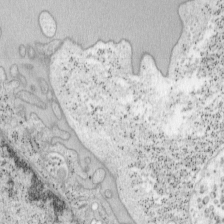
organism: Mouse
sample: OT-I killer T cells with ID8 ovarian cancer cells